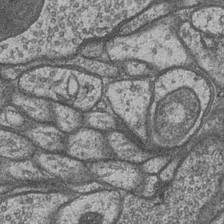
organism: Drosophila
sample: Optic medulla